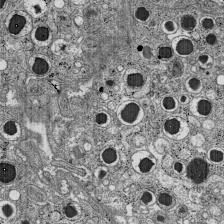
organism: C57BL Mouse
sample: Pancreatic islet